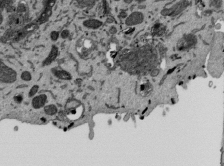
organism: Mouse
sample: ED-1 cell nuclei; centrioles